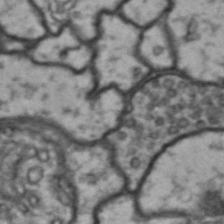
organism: Drosophila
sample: Brain